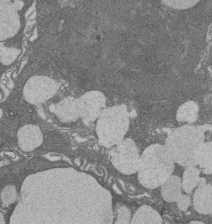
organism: Rat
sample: Salivary granule